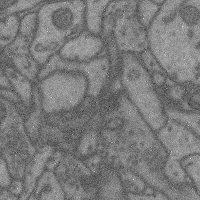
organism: Mouse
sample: Cerebral cortex